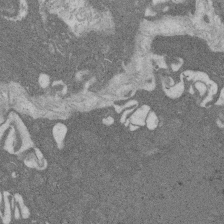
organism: Rat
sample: Salivary granule